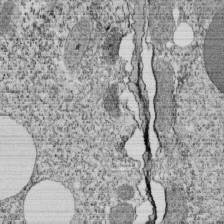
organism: Tetrahymena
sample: Cilia in tetrahymena